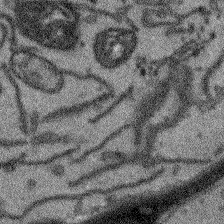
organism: Arabidopsis thaliana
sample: Root tip